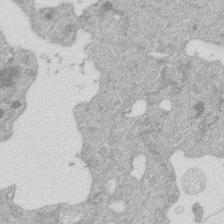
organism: Mouse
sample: Dividing mouse embryo 1 cell stage